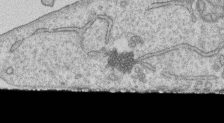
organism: Human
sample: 1205lu cells